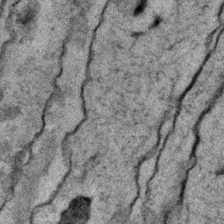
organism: C. elegans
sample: C. elegans embryo